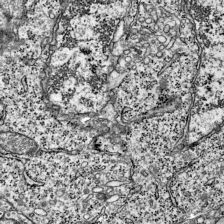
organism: Mouse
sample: Visual Cortex